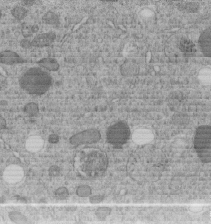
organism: C. elegans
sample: C. elegans embryo early stage